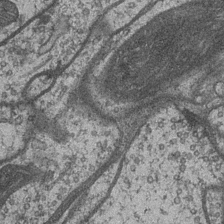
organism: Drosophila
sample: Optic medulla